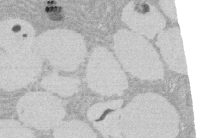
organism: Rat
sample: Salivary granule